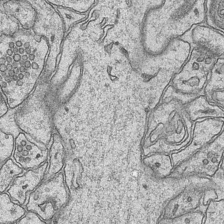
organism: Mouse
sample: CA1 Hippocampus